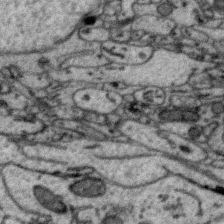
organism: Zebra finch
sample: Brain